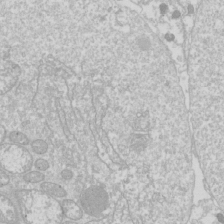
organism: Drosophila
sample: Cell division; meiosis; drosophila spermatocytes